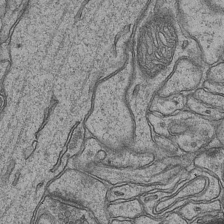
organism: Mouse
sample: CA1 Hippocampus